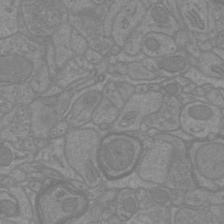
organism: Mouse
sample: Cortical neurons